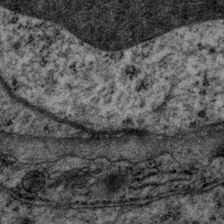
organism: P. pacificus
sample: Pharynx